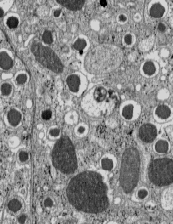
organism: C57BL Mouse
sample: Pancreatic islet